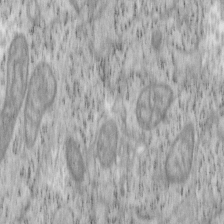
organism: Human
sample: HeLa cells